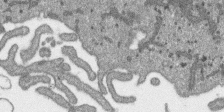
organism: Human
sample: Lung epithelial cells infected with SARS-CoV-2